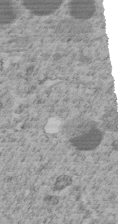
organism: C. elegans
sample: C. elegans embryo early stage